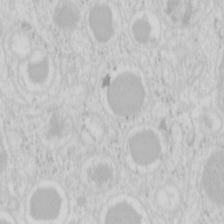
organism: Mouse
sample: Pancreas